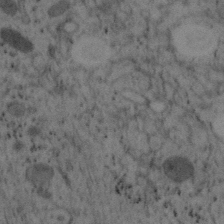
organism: Human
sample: HeLa cells